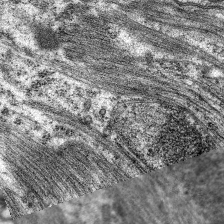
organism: C. elegans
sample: Pharynx